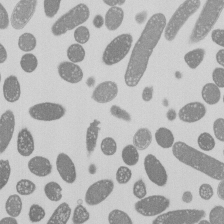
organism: E. coli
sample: Bacterial nucleoid